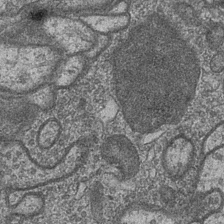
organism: Drosophila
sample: Optic medulla